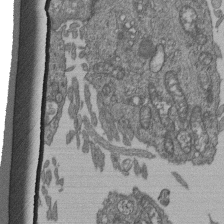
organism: Human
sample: Retinal organoid Rod and Cone cells